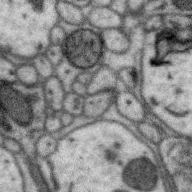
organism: Zebra finch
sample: Brain